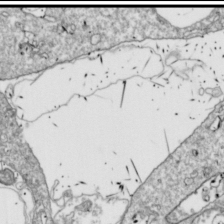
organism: Drosophila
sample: Cell division; meiosis; drosophila spermatocytes